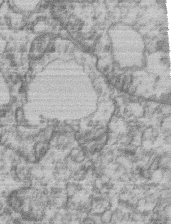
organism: Mouse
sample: T cell stromal cell synapse